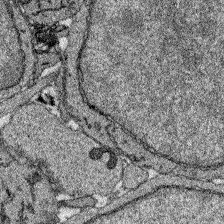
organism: Zebrafish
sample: Larval olfactory bulb